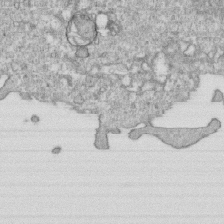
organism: Mouse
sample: Activated OT-1 CD8+ T cells